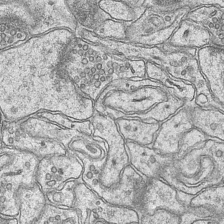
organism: Mouse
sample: CA1 Hippocampus